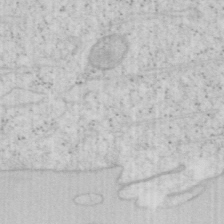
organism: Human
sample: HeLa cells